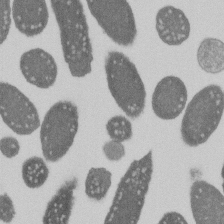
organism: E. coli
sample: Bacterial nucleoid